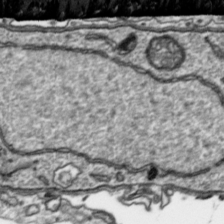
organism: Toxoplasma gondii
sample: Parasites in a vacuole inside a host cell